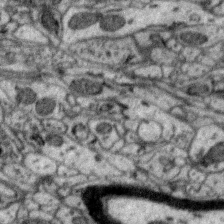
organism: Zebra finch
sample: Brain